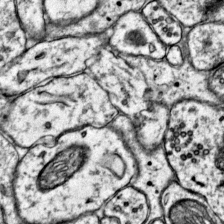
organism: Mouse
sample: Primary visual cortex